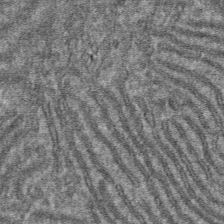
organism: Mouse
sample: Mouse hepatocytes